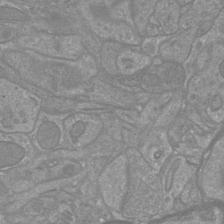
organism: Mouse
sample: Cortical neurons